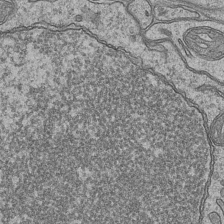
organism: Mouse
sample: CA1 Hippocampus